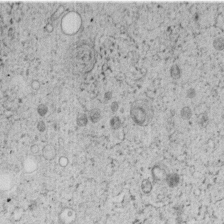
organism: C. elegans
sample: C. elegans embryo early stage